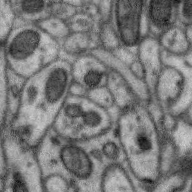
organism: Zebra finch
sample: Brain